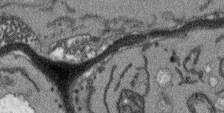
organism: Arabidopsis thaliana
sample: Root tip